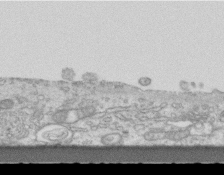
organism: Mouse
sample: Centriole in ependymal cells